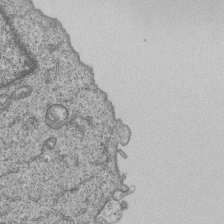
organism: Human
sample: MDA-MB-231 cells